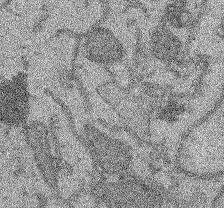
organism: Human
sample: HeLa cells